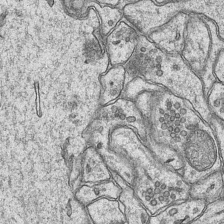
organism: Mouse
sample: CA1 Hippocampus